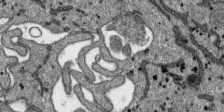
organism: Human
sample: Lung epithelial cells, uninfected (mock) control